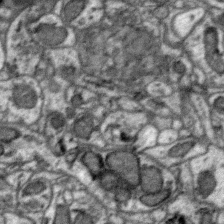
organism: Zebra finch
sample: Brain